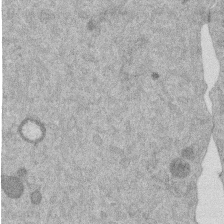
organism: Mouse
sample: Dividing mouse embryo 1 cell stage